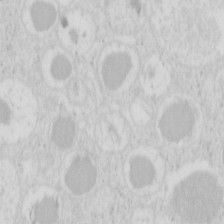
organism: Mouse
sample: Pancreas